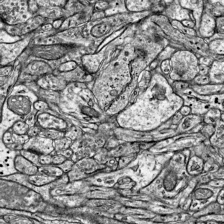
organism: Mouse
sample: Visual Cortex